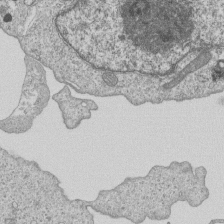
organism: Human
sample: MDA-MB-231 cells